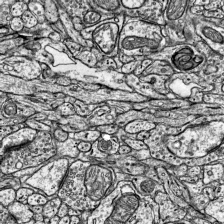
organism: Mouse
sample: Visual Cortex